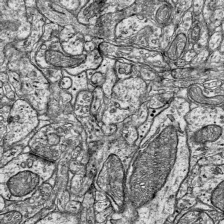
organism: Mouse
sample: Visual Cortex